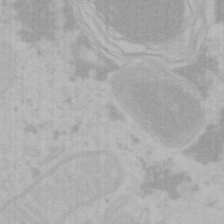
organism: Mouse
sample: Choroid plexus